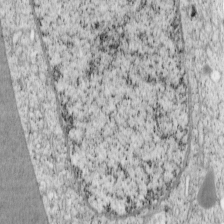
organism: African green monkey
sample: COS-7 cells